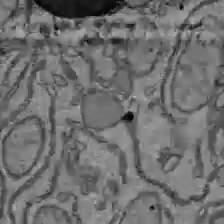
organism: C57BL Mouse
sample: Liver